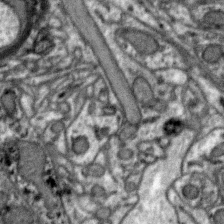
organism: Zebra finch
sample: Brain